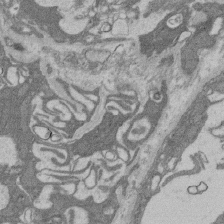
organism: Rat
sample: Salivary granule